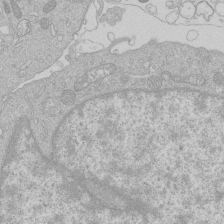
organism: Human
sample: Macrophage cells